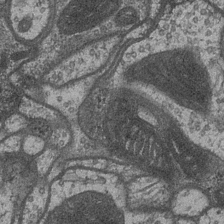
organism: Drosophila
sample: Optic medulla